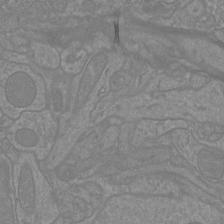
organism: Mouse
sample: Cortical neurons